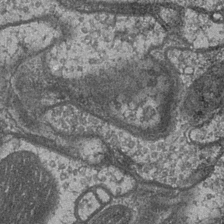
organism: Drosophila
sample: Optic medulla